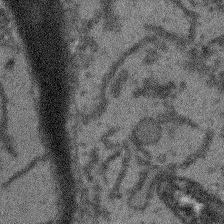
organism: Arabidopsis thaliana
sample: Root tip